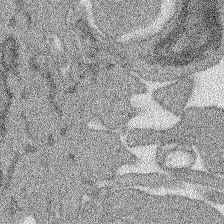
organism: Human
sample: HeLa cells